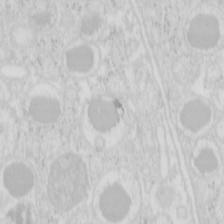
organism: Mouse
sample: Pancreas